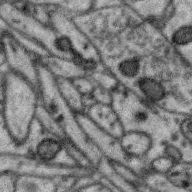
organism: Zebra finch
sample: Brain